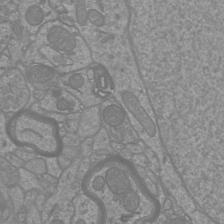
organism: Mouse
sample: Cortical neurons